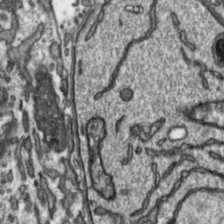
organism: Toxoplasma gondii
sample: Parasites in a vacuole inside a host cell